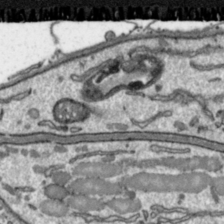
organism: Toxoplasma gondii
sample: Parasites in a vacuole inside a host cell